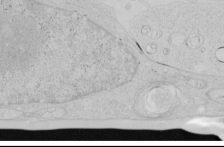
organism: Human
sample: Mitochondria in HCT116 cells